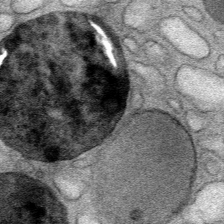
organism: Mouse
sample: Mouse Salivary gland